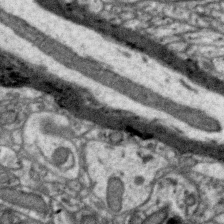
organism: Zebra finch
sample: Brain